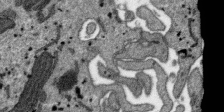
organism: Human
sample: Lung epithelial cells, uninfected (mock) control